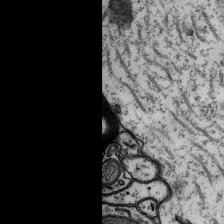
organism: Rat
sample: Hippocampus